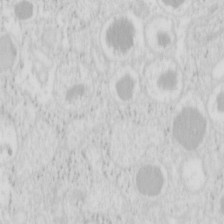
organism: Mouse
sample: Pancreas